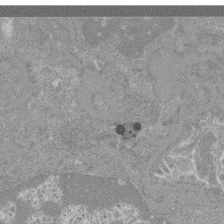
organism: Mouse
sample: Glomerulus